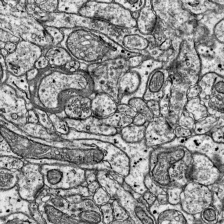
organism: Mouse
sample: Visual Cortex